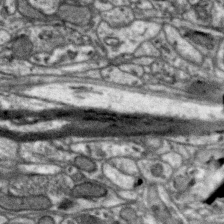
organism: Zebra finch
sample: Brain